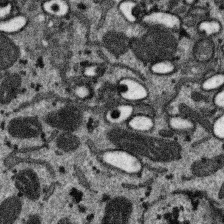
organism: Human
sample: Lung epithelial cells infected with SARS-CoV-2